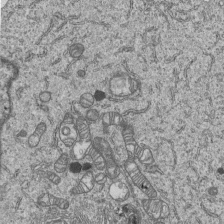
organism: Human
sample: MDA-MB-231 cells